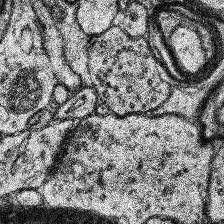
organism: Human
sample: Temporal Lobe